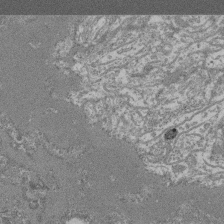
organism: Mouse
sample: Glomerulus